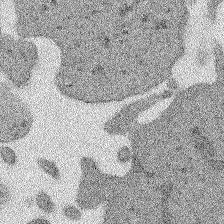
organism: Human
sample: HeLa cells